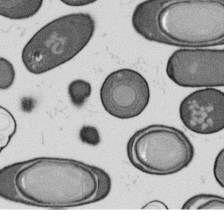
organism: B. subtilis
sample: Bacterial spore